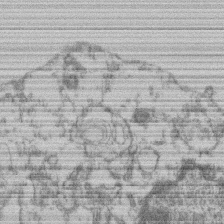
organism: Mouse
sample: T cell stromal cell synapse